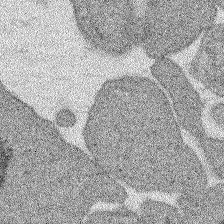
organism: Human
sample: HeLa cells